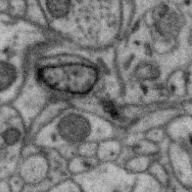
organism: Zebra finch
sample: Brain